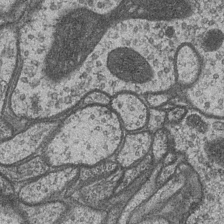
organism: Drosophila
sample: Optic medulla